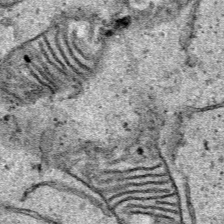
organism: Human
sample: Mitochondria in HCT116 cells